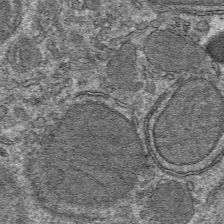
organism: Mouse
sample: Mouse hepatocytes